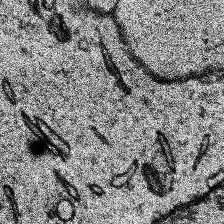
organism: Human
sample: Temporal Lobe